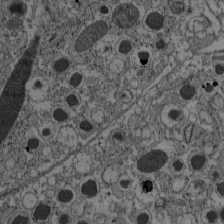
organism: C57BL Mouse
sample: Pancreatic islet